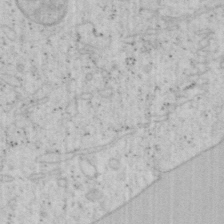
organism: Human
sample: HeLa cells